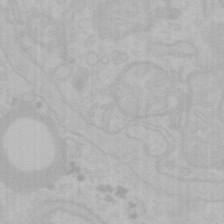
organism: Mouse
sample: Choroid plexus